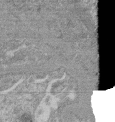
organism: Mouse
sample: Glomerulus